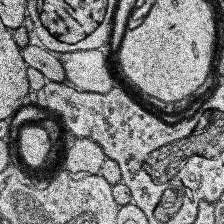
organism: Human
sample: Temporal Lobe